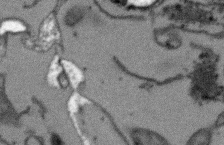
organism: Arabidopsis thaliana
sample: Root tip